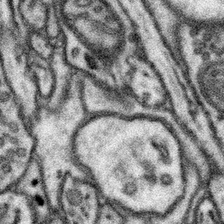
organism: Mouse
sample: Somatosensory cortex neuropil